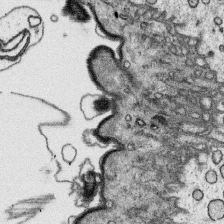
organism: Platynereis dumerilii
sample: Parapodia